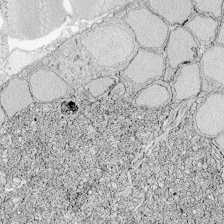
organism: Zebrafish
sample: Whole-Brain